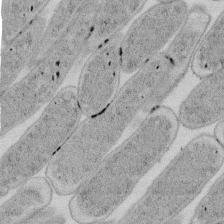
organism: E. coli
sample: Bacterial nucleoid